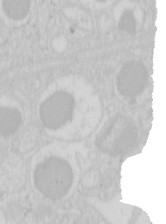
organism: Mouse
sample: Pancreas